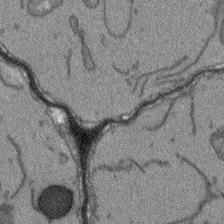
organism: Arabidopsis thaliana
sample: Root tip